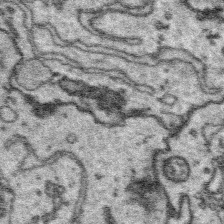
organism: Platynereis dumerilii